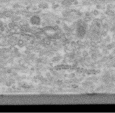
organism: Human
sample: Centriole in RPE cells